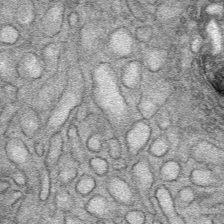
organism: Mouse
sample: Mouse Salivary gland